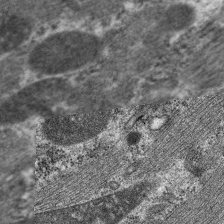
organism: C. elegans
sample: Pharynx